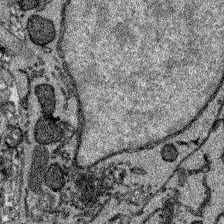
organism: Zebrafish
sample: Larval olfactory bulb